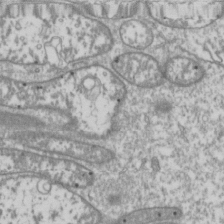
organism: Drosophila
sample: Cell division; meiosis; drosophila spermatocytes